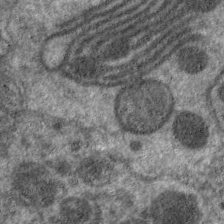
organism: C. elegans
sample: Pharynx